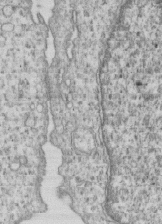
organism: Human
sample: MDA-MB-231 cells